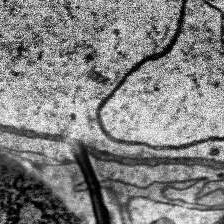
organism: Human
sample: Temporal Lobe